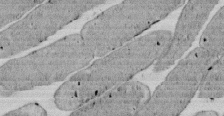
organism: E. coli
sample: Bacterial nucleoid